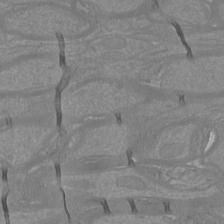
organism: Mouse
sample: Cortical neurons